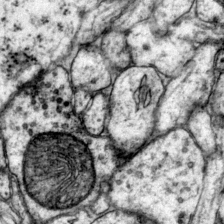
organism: Mouse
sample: Primary visual cortex